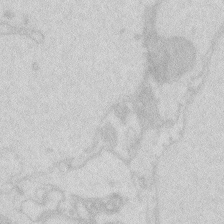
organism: Zebrafish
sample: Macrophage